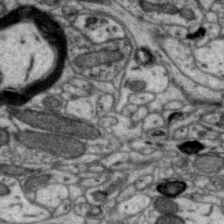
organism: Zebra finch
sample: Brain